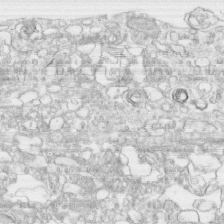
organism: Human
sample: CRL-1474